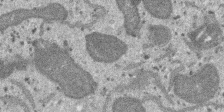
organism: Human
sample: Lung epithelial cells infected with SARS-CoV-2